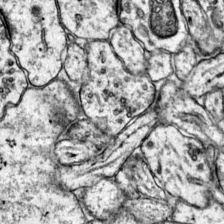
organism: Mouse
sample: Primary visual cortex